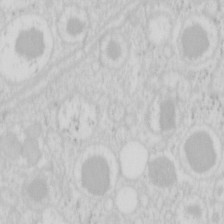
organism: Mouse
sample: Pancreas